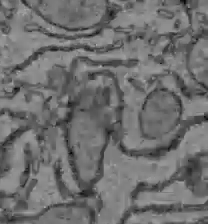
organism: C57BL Mouse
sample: Liver